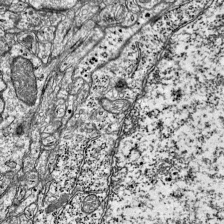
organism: Mouse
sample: Visual Cortex